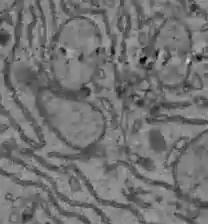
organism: C57BL Mouse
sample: Liver